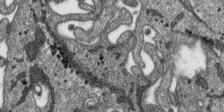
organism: Human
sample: Lung epithelial cells infected with SARS-CoV-2